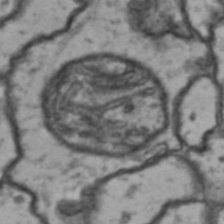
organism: Drosophila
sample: Brain